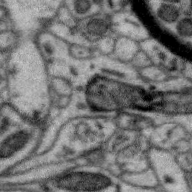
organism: Zebra finch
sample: Brain